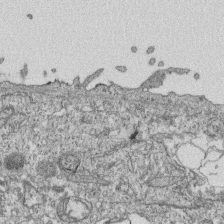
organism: Human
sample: HeLa cell HIV synapse